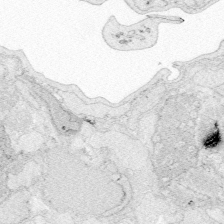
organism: Zebrafish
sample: Whole-Brain